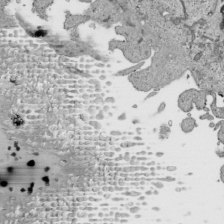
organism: Human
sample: Mitochondria in HCT116 cells